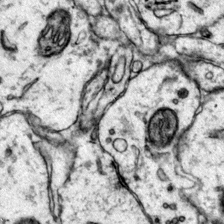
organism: Mouse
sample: Primary visual cortex